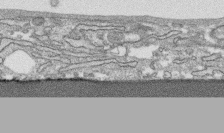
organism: Human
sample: CRL-1474